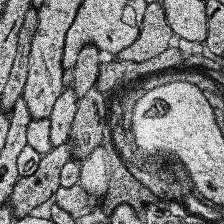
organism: Human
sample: Temporal Lobe